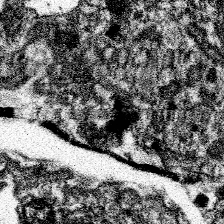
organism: Spongilla lacustris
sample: Neuroid cell